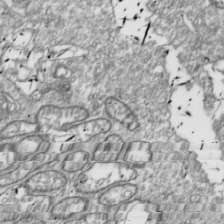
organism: Drosophila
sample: Cell division; meiosis; drosophila spermatocytes